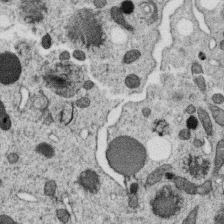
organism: C. elegans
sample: C. elegans oocyte; sperm cells